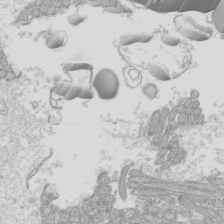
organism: Mouse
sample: Cilia; mouse epididymis